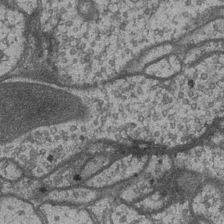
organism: Drosophila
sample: Optic medulla